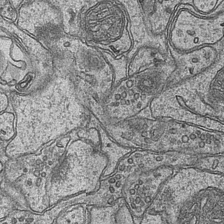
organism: Mouse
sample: CA1 Hippocampus